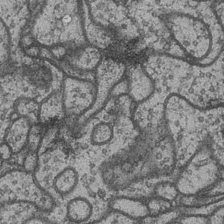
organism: Drosophila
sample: Optic medulla